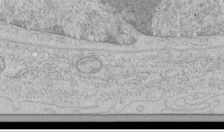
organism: Human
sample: Mitochondria in HCT116 cells